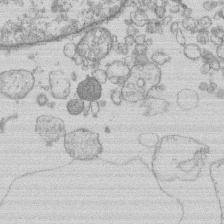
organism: Human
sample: Macrophage cells